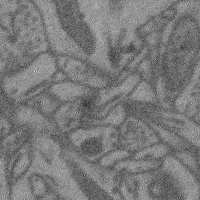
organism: Mouse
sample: Cerebral cortex